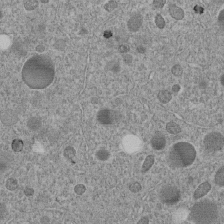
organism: C. elegans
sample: C. elegans embryo early stage